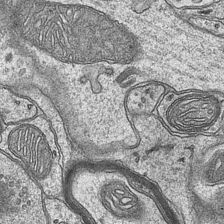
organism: Mouse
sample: CA1 Hippocampus